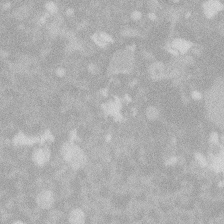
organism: Zebrafish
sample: Macrophage